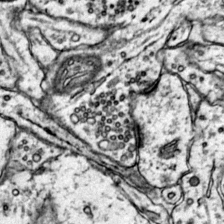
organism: Mouse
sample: Primary visual cortex